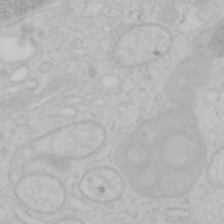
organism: Mouse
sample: OT-I killer T cells with ID8 ovarian cancer cells